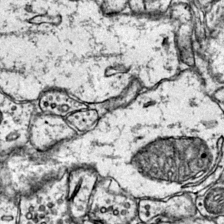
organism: Mouse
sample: Primary visual cortex